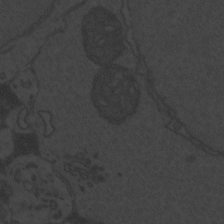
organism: Zebrafish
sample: Macrophage infected with Toxoplasma gondii